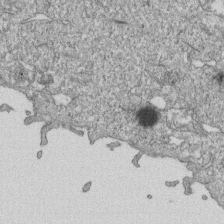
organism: Human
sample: HeLa cell HIV synapse